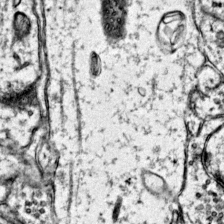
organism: Mouse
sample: Primary visual cortex